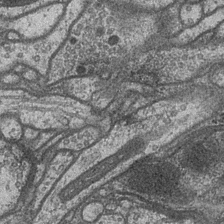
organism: Drosophila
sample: Optic medulla